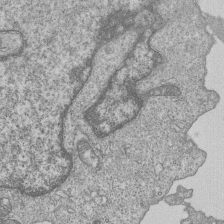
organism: Human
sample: MDA-MB-231 cells